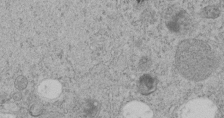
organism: C. elegans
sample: C. elegans embryo early stage